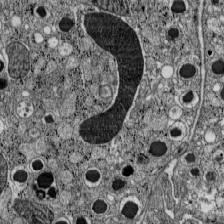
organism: C57BL Mouse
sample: Pancreatic islet